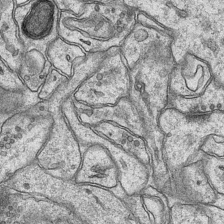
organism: Mouse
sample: CA1 Hippocampus